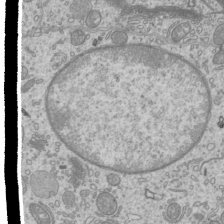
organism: Mouse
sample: Cilia; mouse epididymis